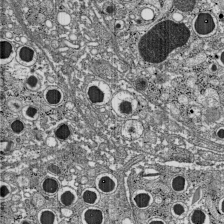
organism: C57BL Mouse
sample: Pancreatic islet